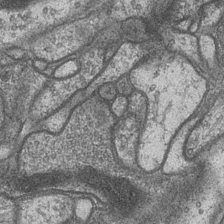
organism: Drosophila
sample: Optic medulla